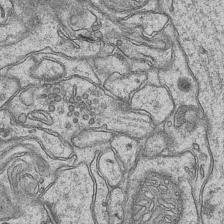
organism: Mouse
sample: CA1 Hippocampus